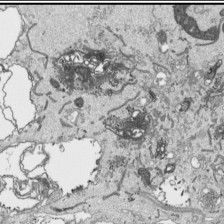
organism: Human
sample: Mitochondria in HCT116 cells